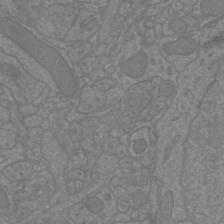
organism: Mouse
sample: Cortical neurons